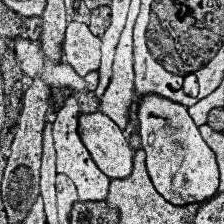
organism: Human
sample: Temporal Lobe